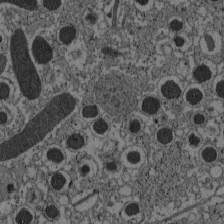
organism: C57BL Mouse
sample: Pancreatic islet